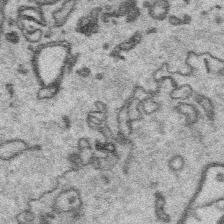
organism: Platynereis dumerilii